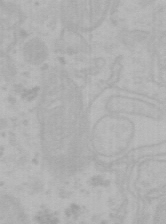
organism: Mouse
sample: Choroid plexus